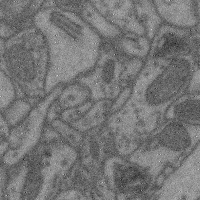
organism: Mouse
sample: Cerebral cortex